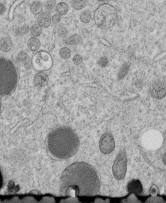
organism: C. elegans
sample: C. elegans embryo early stage